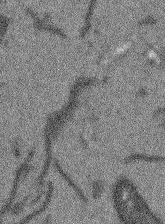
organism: Arabidopsis thaliana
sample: Root tip